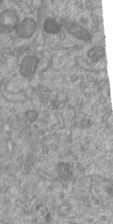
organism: Mouse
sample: ED-1 cell nuclei; centrioles